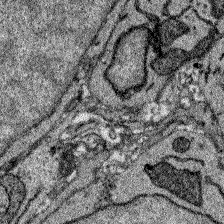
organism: Zebrafish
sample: Larval olfactory bulb